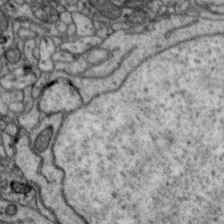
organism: Zebra finch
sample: Brain